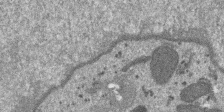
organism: Human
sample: Lung epithelial cells infected with SARS-CoV-2